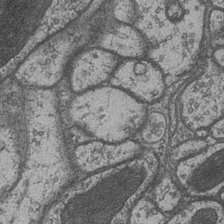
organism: Drosophila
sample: Optic medulla